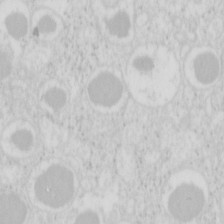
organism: Mouse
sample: Pancreas